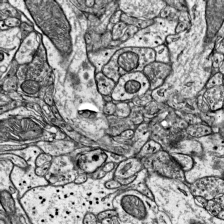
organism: Mouse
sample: Visual Cortex